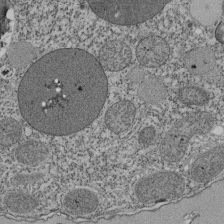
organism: Tetrahymena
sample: Cilia in tetrahymena